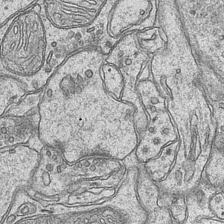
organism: Mouse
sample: CA1 Hippocampus